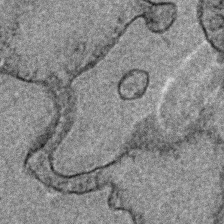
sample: Trachea